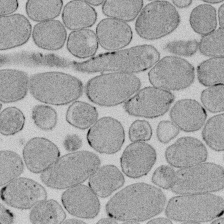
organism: E. coli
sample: Bacterial nucleoid